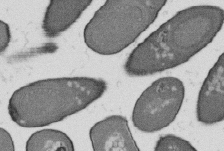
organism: B. subtilis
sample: Bacterial spore